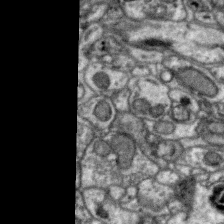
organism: Zebra finch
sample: Brain